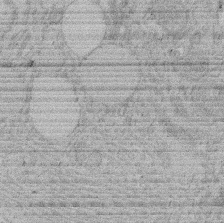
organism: Rat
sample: Salivary granule